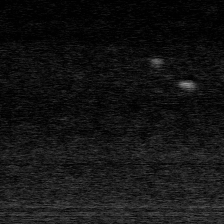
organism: Human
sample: HeLa cells